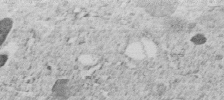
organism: C. elegans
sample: C. elegans embryo early stage